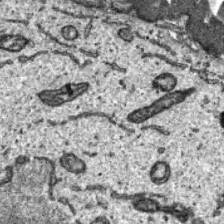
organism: Human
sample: HeLa cells